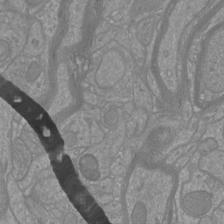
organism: Mouse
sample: Cortical neurons